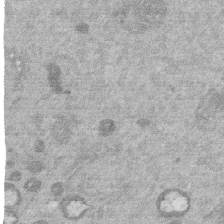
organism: Mouse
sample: Dividing mouse embryo 1 cell stage